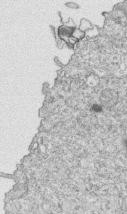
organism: Human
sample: HeLa cell HIV synapse